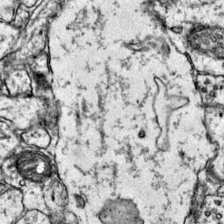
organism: Mouse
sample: Primary visual cortex